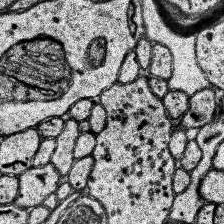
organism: Human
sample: Temporal Lobe